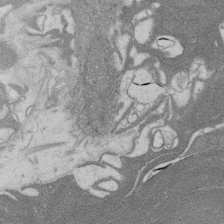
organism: Rat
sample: Salivary granule